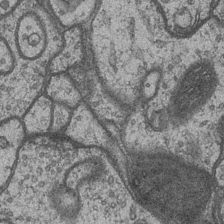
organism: Drosophila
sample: Optic medulla